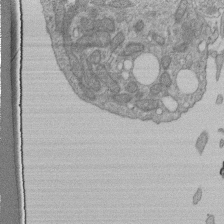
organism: Human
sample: Retinal organoid Rod and Cone cells